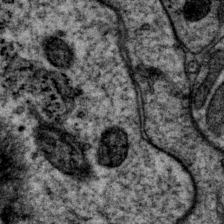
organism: P. pacificus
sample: Pharynx